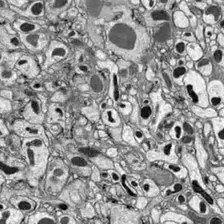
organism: Drosophila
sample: Optic lobe